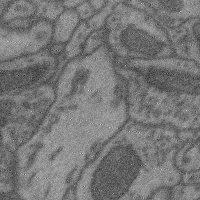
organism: Mouse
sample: Cerebral cortex